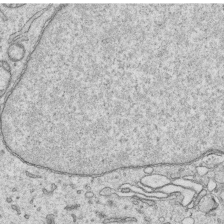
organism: Human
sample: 1205lu cells